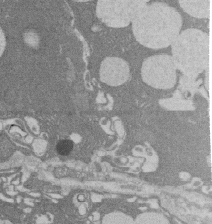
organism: Rat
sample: Salivary granule